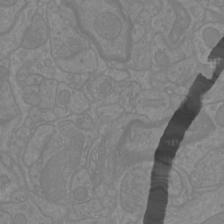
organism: Mouse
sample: Cortical neurons